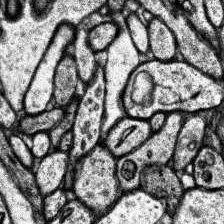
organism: Human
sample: Temporal Lobe